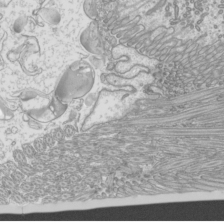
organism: Mouse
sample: Cilia; mouse epididymis